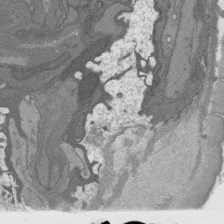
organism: C. elegans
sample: AFD neurons C. elegans